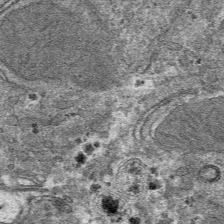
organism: Mouse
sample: Mouse hepatocytes